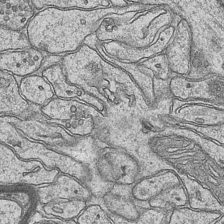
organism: Mouse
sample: CA1 Hippocampus